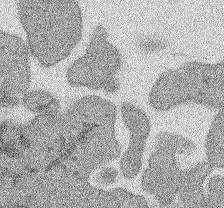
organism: Human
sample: HeLa cells